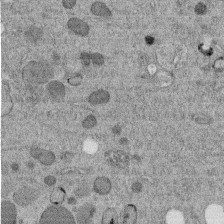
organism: C. elegans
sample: C. elegans embryo early stage